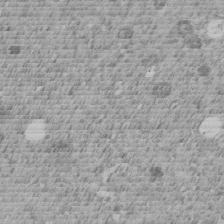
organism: C. elegans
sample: C. elegans embryo early stage